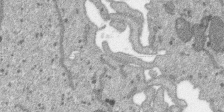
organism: Human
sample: Lung epithelial cells infected with SARS-CoV-2